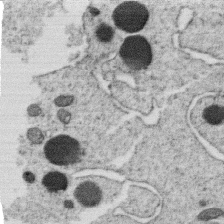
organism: C. elegans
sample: C. elegans oocyte; sperm cells